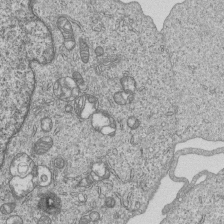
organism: Human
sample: MDA-MB-231 cells